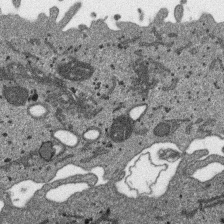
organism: Human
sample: Lung epithelial cells infected with SARS-CoV-2